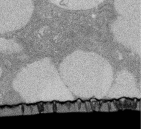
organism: Rat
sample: Salivary granule